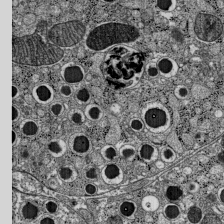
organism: C57BL Mouse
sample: Pancreatic islet